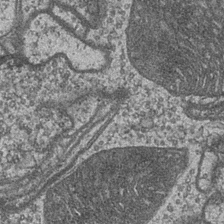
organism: Drosophila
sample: Optic medulla